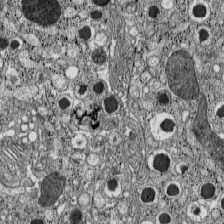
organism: C57BL Mouse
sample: Pancreatic islet